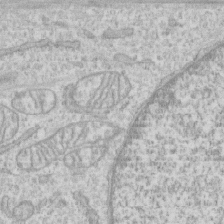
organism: Human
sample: CRL-1474